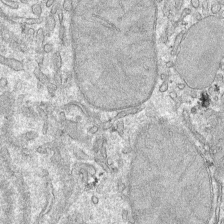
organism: Mouse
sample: Mouse hepatocytes